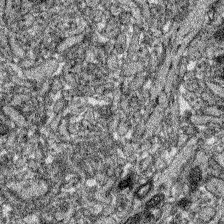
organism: Zebrafish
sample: Larval olfactory bulb